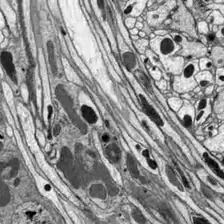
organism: Drosophila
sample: Optic lobe